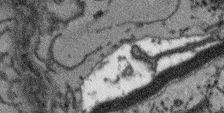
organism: Arabidopsis thaliana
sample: Root tip